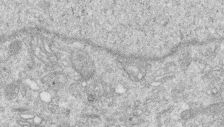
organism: Human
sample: HeLa cell HIV synapse